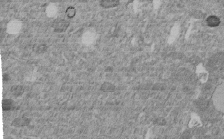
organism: C. elegans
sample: C. elegans embryo early stage